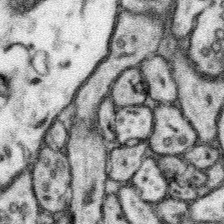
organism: Mouse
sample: Somatosensory cortex neuropil